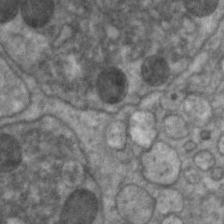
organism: C. elegans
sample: Pharynx